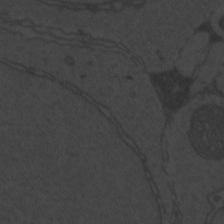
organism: Zebrafish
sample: Macrophage infected with Toxoplasma gondii